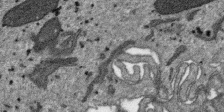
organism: Human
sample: Lung epithelial cells, uninfected (mock) control